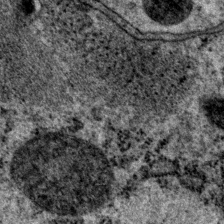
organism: P. pacificus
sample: Pharynx